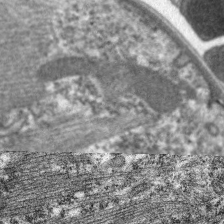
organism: C. elegans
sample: Pharynx